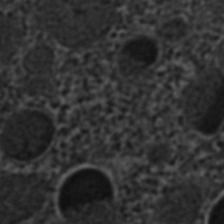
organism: C. elegans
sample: C. elegans embryo